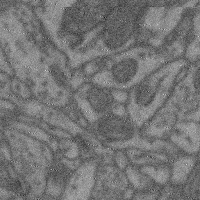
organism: Mouse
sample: Cerebral cortex